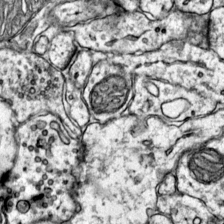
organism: Mouse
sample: Primary visual cortex